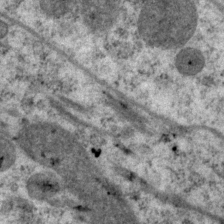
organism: P. pacificus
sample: Pharynx